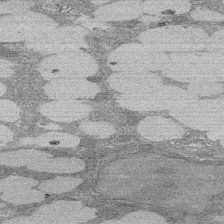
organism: Rat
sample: Salivary granule